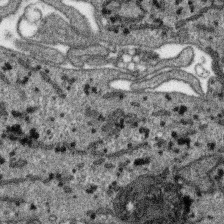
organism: Human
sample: Lung epithelial cells infected with SARS-CoV-2